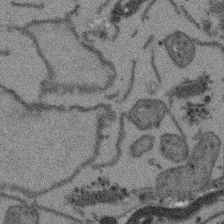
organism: Arabidopsis thaliana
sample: Root tip